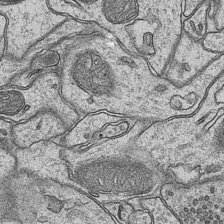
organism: Mouse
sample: CA1 Hippocampus